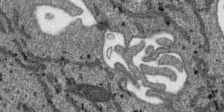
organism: Human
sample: Lung epithelial cells infected with SARS-CoV-2